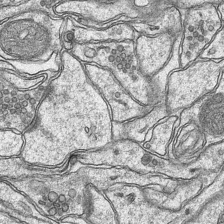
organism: Mouse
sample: CA1 Hippocampus